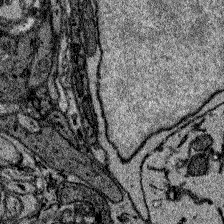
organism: Zebrafish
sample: Larval olfactory bulb